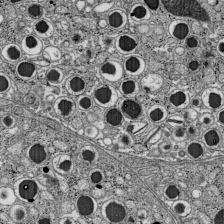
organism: C57BL Mouse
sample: Pancreatic islet